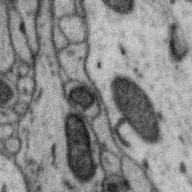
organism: Zebra finch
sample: Brain